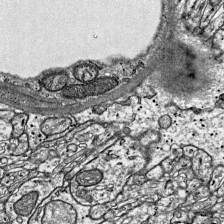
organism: Mouse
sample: Visual Cortex